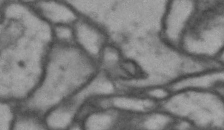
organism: Drosophila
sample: Brain